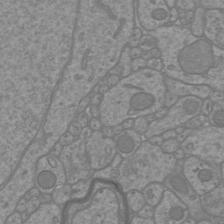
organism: Mouse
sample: Cortical neurons